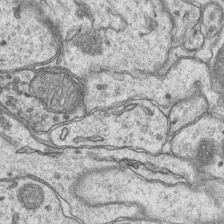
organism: Mouse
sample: CA1 Hippocampus